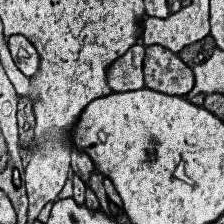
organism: Human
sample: Temporal Lobe